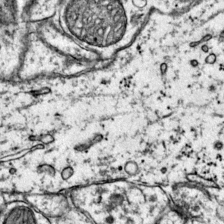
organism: Mouse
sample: Primary visual cortex